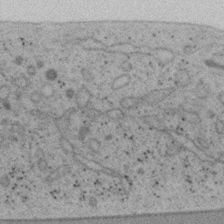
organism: Human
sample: HeLa cells